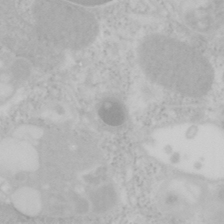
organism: Mouse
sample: OT-I killer T cells with ID8 ovarian cancer cells